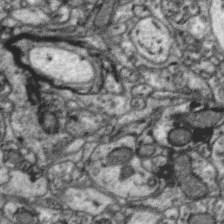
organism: Zebra finch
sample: Brain